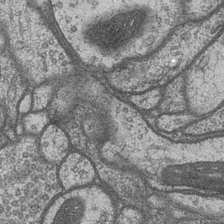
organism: Drosophila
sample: Optic medulla